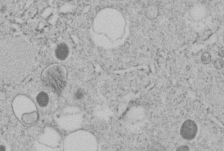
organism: C. elegans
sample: C. elegans embryo early stage